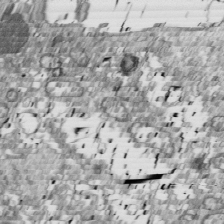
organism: Drosophila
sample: Cell division; meiosis; drosophila spermatocytes